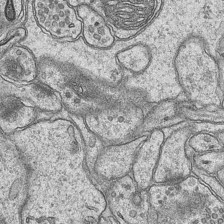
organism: Mouse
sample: CA1 Hippocampus